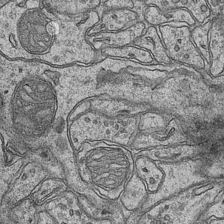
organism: Mouse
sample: CA1 Hippocampus